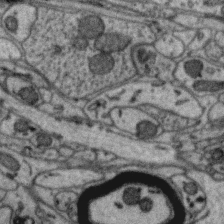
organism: Zebra finch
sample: Brain